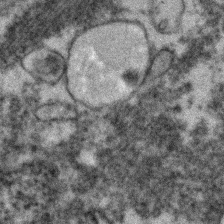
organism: Zebrafish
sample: Zebrafish embryo